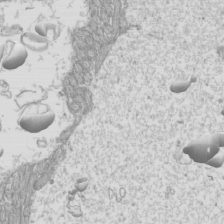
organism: Mouse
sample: Cilia; mouse epididymis